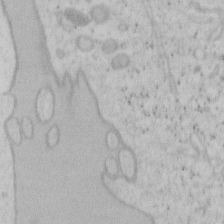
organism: Human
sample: HeLa cells